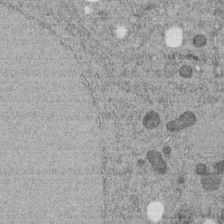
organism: C. elegans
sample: C. elegans embryo early stage